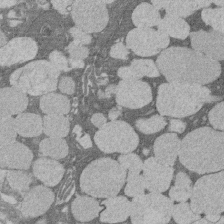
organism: Rat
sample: Salivary granule